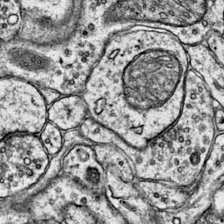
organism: Mouse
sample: Primary visual cortex